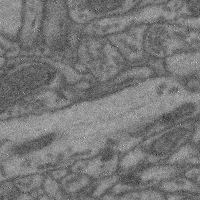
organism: Mouse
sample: Cerebral cortex